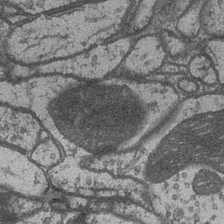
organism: Drosophila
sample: Optic medulla